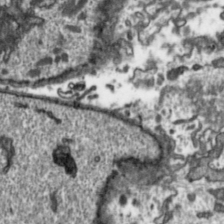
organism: Toxoplasma gondii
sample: Parasites in a vacuole inside a host cell